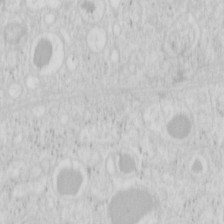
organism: Mouse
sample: Pancreas